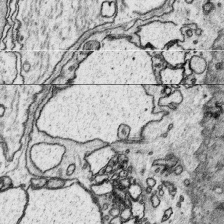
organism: Platynereis dumerilii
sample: Parapodia